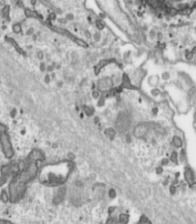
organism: Toxoplasma gondii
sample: Parasites in a vacuole inside a host cell